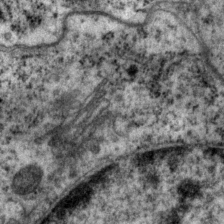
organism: P. pacificus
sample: Pharynx